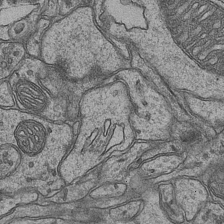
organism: Mouse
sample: CA1 Hippocampus